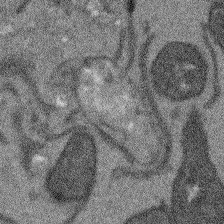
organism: Arabidopsis thaliana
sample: Root tip